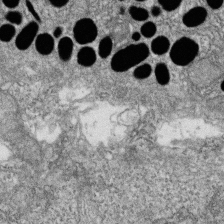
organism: Zebrafish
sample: Cilia; retinal pigment epithelium